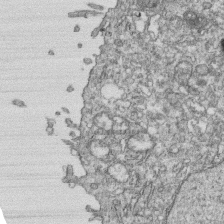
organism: Human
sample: HeLa cell HIV synapse